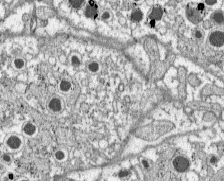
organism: C57BL Mouse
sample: Pancreatic islet